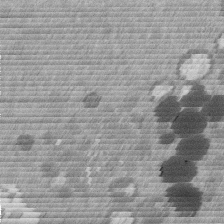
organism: Mouse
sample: Dividing mouse embryo 1 cell stage